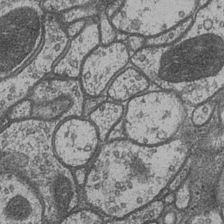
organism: Drosophila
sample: Optic medulla